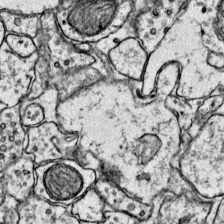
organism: Mouse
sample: Primary visual cortex